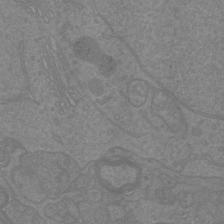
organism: Mouse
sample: Cortical neurons